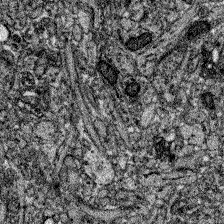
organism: Zebrafish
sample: Larval olfactory bulb